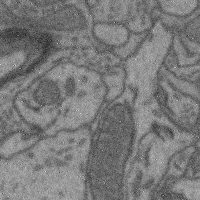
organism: Mouse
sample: Cerebral cortex